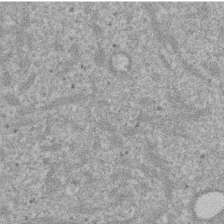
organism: Mouse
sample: Dividing mouse embryo 1 cell stage